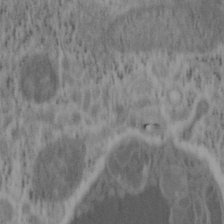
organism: Mouse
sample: OT-I killer T cells with ID8 ovarian cancer cells